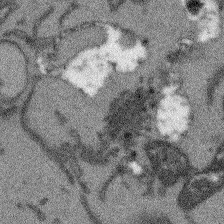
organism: Arabidopsis thaliana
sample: Root tip